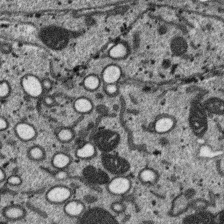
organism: Human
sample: Lung epithelial cells infected with SARS-CoV-2